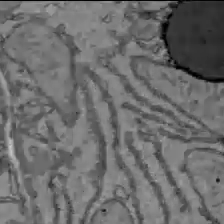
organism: C57BL Mouse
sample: Liver